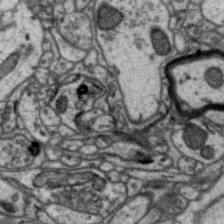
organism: Zebra finch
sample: Brain